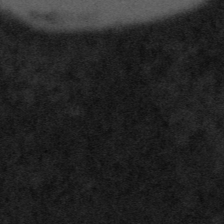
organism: Tuwongella immobilis